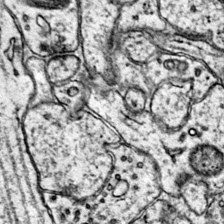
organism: Mouse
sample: Primary visual cortex